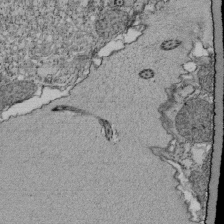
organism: Tetrahymena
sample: Cilia in tetrahymena